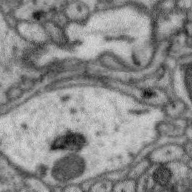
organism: Zebra finch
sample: Brain